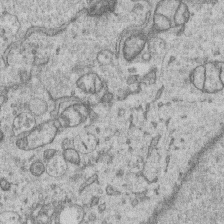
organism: Human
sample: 1205lu cells